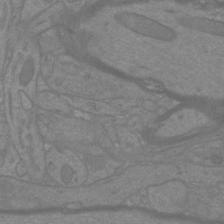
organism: Mouse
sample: Cortical neurons